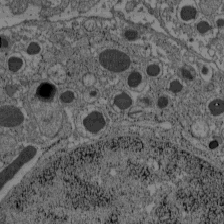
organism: C57BL Mouse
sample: Pancreatic islet